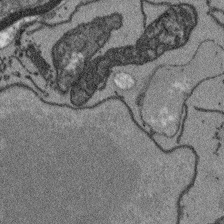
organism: Arabidopsis thaliana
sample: Root tip